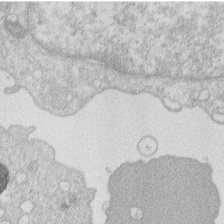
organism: Human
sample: Macrophage cells